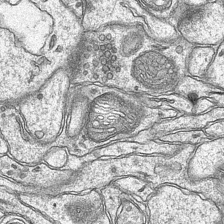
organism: Mouse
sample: CA1 Hippocampus